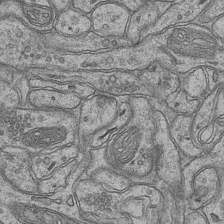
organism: Mouse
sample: CA1 Hippocampus